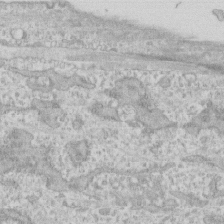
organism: Human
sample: CRL-1474